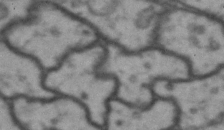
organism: Drosophila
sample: Brain